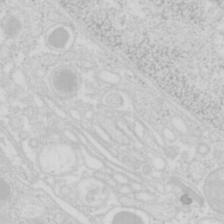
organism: Mouse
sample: Pancreas